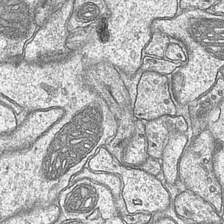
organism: Mouse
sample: CA1 Hippocampus